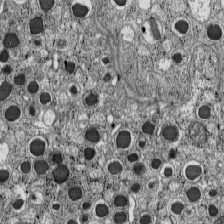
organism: C57BL Mouse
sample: Pancreatic islet